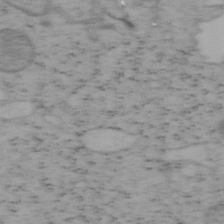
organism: Mouse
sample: OT-I killer T cells with ID8 ovarian cancer cells